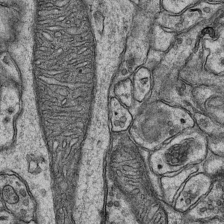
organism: Mouse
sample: CA1 Hippocampus